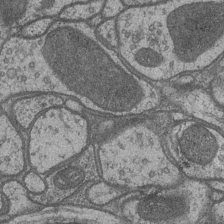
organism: Drosophila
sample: Optic medulla